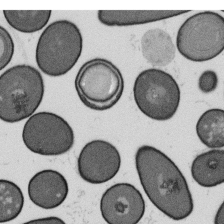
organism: B. subtilis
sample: Bacterial spore